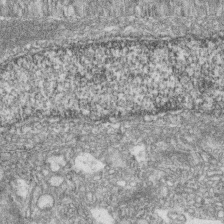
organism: Zebrafish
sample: Cilia; retinal pigment epithelium